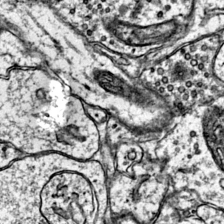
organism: Mouse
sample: Primary visual cortex